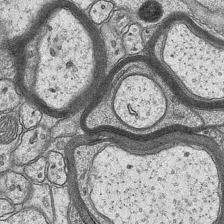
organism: Mouse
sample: CA1 Hippocampus